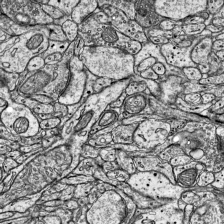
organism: Mouse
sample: Visual Cortex